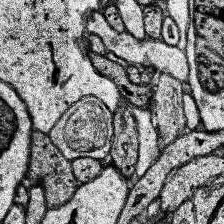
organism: Human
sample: Temporal Lobe